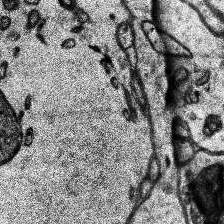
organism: Human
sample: Temporal Lobe